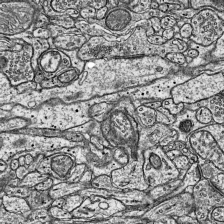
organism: Mouse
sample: Visual Cortex